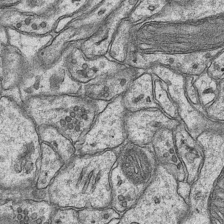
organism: Mouse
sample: CA1 Hippocampus